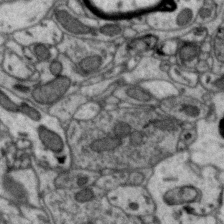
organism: Zebra finch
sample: Brain